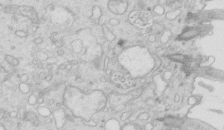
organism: Mouse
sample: Multiciliated cells